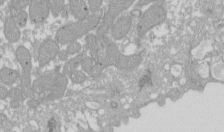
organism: Xenopus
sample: Cilia; centrioles in frog embryo cells